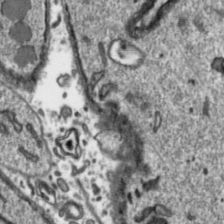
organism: Toxoplasma gondii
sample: Parasites in a vacuole inside a host cell